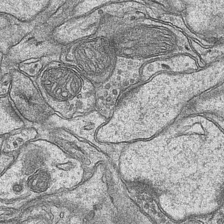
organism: Mouse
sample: CA1 Hippocampus